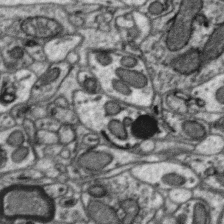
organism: Zebra finch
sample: Brain